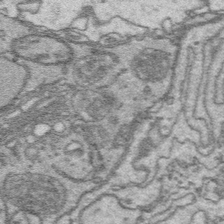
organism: Platynereis dumerilii